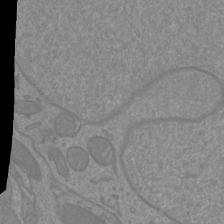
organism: Mouse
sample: Cortical neurons